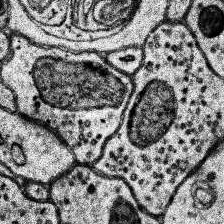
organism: Human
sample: Temporal Lobe